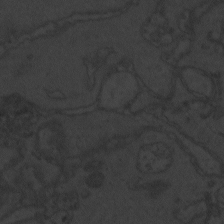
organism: Zebrafish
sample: Macrophage infected with Toxoplasma gondii